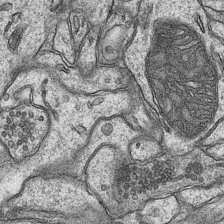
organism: Mouse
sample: CA1 Hippocampus